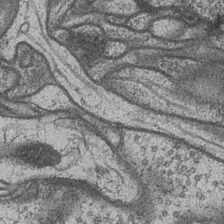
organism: Drosophila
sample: Optic medulla